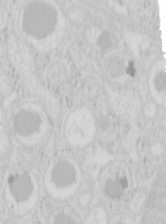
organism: Mouse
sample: Pancreas